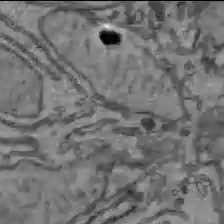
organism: C57BL Mouse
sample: Liver